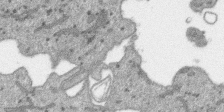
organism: Human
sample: Lung epithelial cells infected with SARS-CoV-2